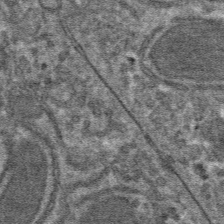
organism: Mouse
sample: Mouse hepatocytes